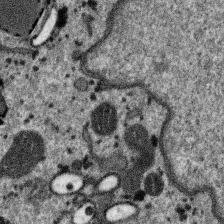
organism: Human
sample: Lung epithelial cells infected with SARS-CoV-2